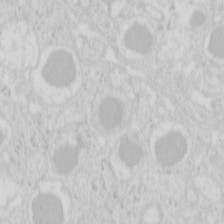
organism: Mouse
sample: Pancreas